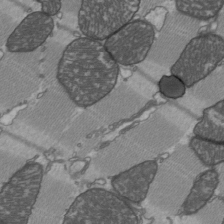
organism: C57BL Mouse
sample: Heart